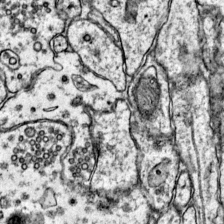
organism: Mouse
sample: Primary visual cortex